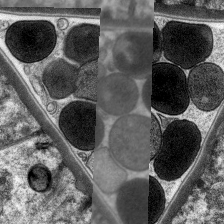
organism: C. elegans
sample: Pharynx